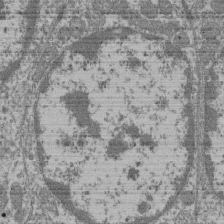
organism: Mouse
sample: Glomerulus